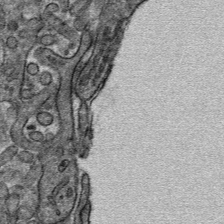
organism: Mouse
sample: Mouse hepatocytes